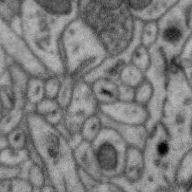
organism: Zebra finch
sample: Brain